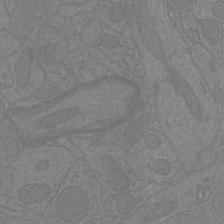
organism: Mouse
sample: Cortical neurons